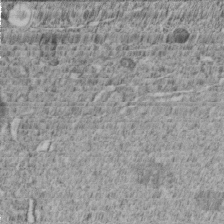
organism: C. elegans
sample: C. elegans embryo early stage